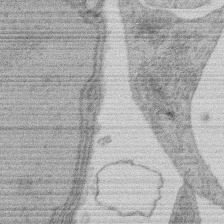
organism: Rat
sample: Salivary granule